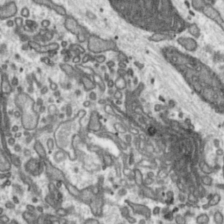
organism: Toxoplasma gondii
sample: Parasites in a vacuole inside a host cell